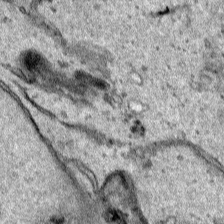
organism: Human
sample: Mitochondria in HCT116 cells